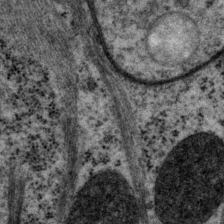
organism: P. pacificus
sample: Pharynx